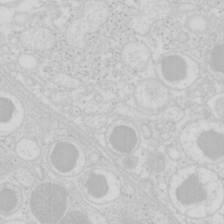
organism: Mouse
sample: Pancreas